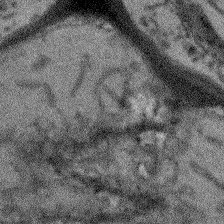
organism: Arabidopsis thaliana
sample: Root tip